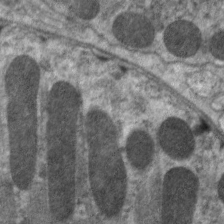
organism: C. elegans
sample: Pharynx